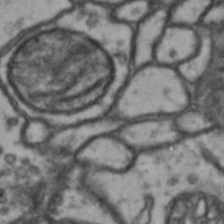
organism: Drosophila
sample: Brain